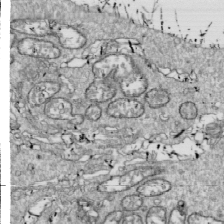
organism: Drosophila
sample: Cell division; meiosis; drosophila spermatocytes